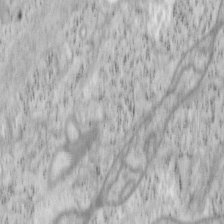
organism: Human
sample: HeLa cells